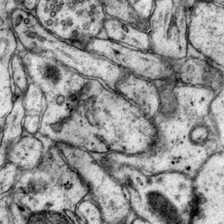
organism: Mouse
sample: Primary visual cortex